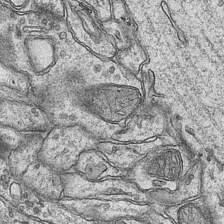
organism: Mouse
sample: CA1 Hippocampus